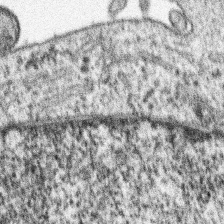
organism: Human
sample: HeLa cells